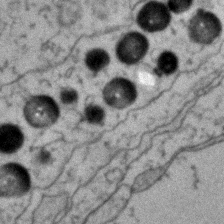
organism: Zebrafish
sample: Zebrafish embryo